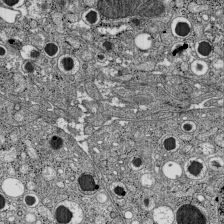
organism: C57BL Mouse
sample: Pancreatic islet